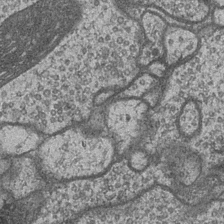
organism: Drosophila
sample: Optic medulla